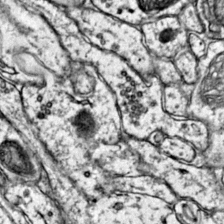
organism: Mouse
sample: Primary visual cortex